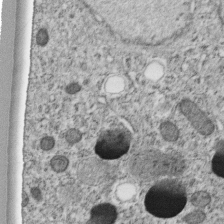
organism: C. elegans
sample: C. elegans embryo early stage